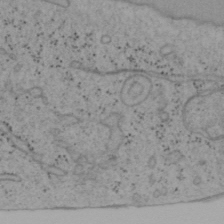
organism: Human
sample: HeLa cells